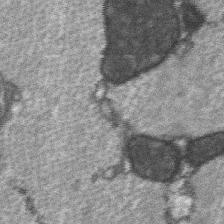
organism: C57BL Mouse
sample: Soleus